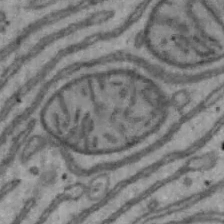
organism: Mouse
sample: Liver